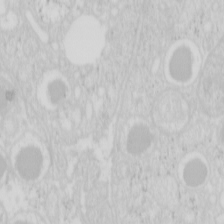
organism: Mouse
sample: Pancreas